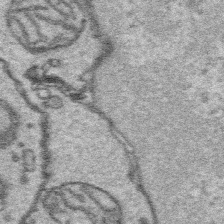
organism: Platynereis dumerilii